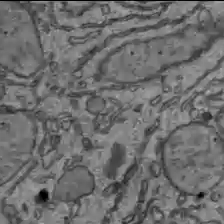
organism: C57BL Mouse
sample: Liver